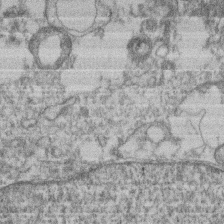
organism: Mouse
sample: T cell stromal cell synapse